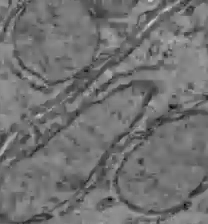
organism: C57BL Mouse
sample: Liver